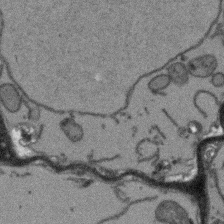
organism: Arabidopsis thaliana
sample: Root tip